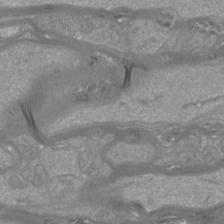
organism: Mouse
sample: Cortical neurons